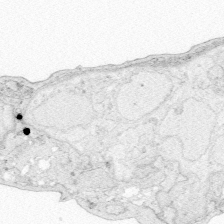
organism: Zebrafish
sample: Whole-Brain